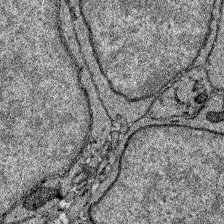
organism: Zebrafish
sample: Larval olfactory bulb